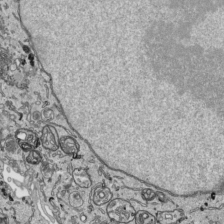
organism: Human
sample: Mitochondria in HCT116 cells